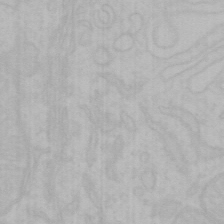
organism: Mouse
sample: Choroid plexus